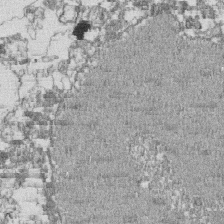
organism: Human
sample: HeLa cell HIV synapse